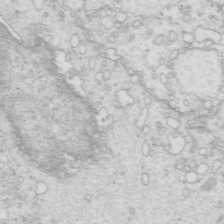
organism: Mouse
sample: Multiciliated cells